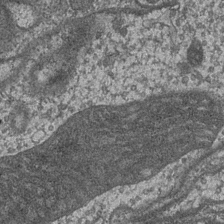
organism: Drosophila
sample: Optic medulla